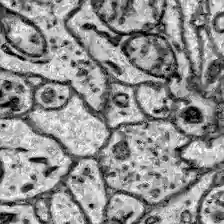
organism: Zebrafish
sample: Brain